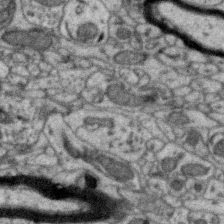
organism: Zebra finch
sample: Brain